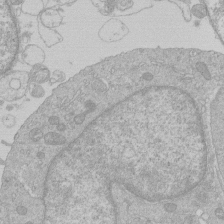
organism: Human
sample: Macrophage cells